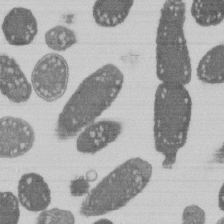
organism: E. coli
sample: Bacterial nucleoid